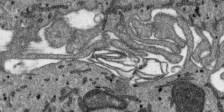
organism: Human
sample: Lung epithelial cells, uninfected (mock) control